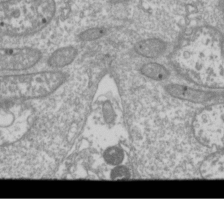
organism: Drosophila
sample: Cell division; meiosis; drosophila spermatocytes